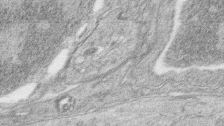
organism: Zebrafish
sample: synaptic ribbons in rod cells and cone cells